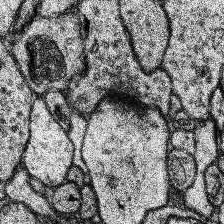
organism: Human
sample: Temporal Lobe